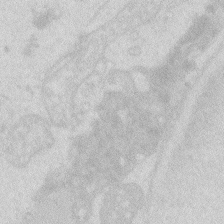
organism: Zebrafish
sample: Macrophage